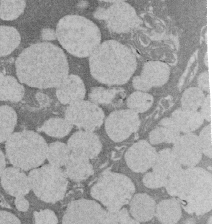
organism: Rat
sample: Salivary granule